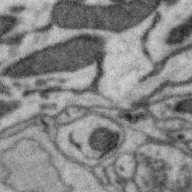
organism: Zebra finch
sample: Brain